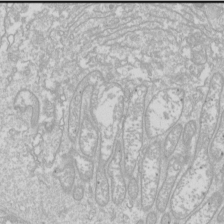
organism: Drosophila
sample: Cell division; meiosis; drosophila spermatocytes